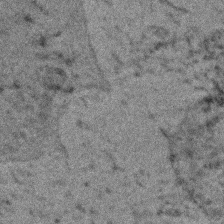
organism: Zebrafish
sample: Zebrafish embryo